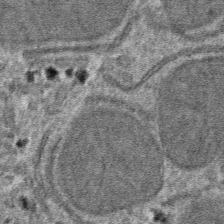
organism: Mouse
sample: Mouse hepatocytes